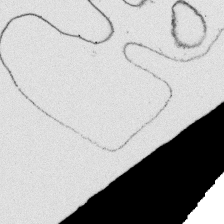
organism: Platynereis dumerilii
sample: Parapodia